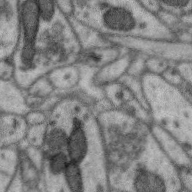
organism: Zebra finch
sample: Brain